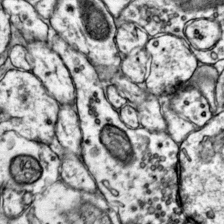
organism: Mouse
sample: Primary visual cortex